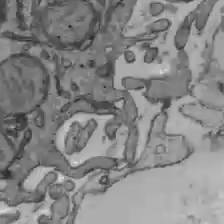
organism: C57BL Mouse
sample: Liver